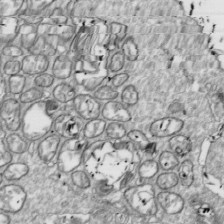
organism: Drosophila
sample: Cell division; meiosis; drosophila spermatocytes